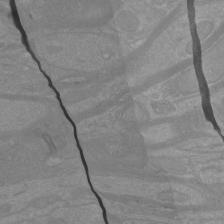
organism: Mouse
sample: Cortical neurons